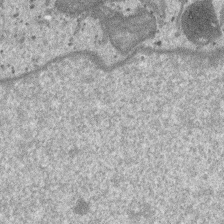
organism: Human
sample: Lung epithelial cells infected with SARS-CoV-2